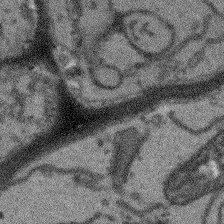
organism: Arabidopsis thaliana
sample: Root tip